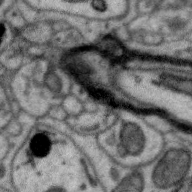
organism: Zebra finch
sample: Brain